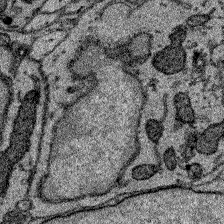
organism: Zebrafish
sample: Larval olfactory bulb